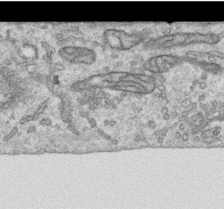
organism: Human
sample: Centriole in RPE cells